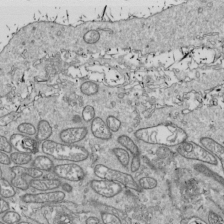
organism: Drosophila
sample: Cell division; meiosis; drosophila spermatocytes